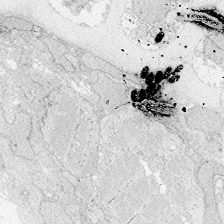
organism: Zebrafish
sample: Whole-Brain